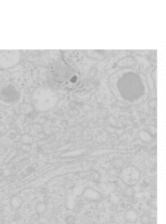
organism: Mouse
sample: Pancreas